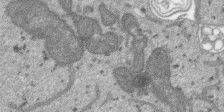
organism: Human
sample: Lung epithelial cells infected with SARS-CoV-2